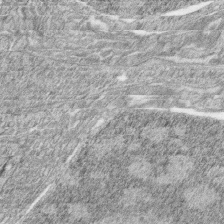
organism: Zebrafish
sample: synaptic ribbons in rod cells and cone cells